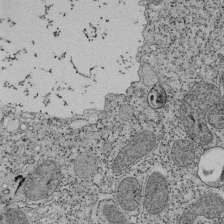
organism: Tetrahymena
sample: Cilia in tetrahymena